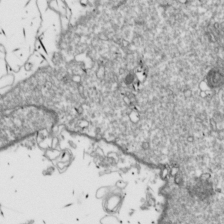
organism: Drosophila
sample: Cell division; meiosis; drosophila spermatocytes